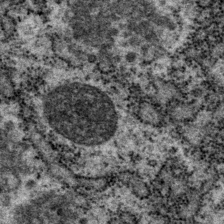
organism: P. pacificus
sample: Pharynx